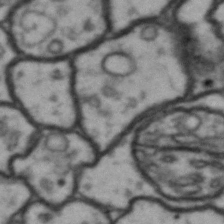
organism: Drosophila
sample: Brain